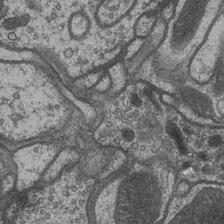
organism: Drosophila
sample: Optic medulla